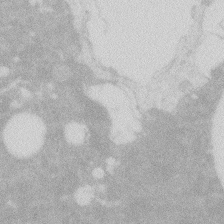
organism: Zebrafish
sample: Macrophage